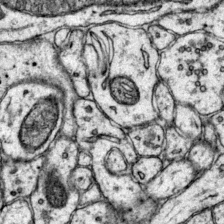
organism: Mouse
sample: Primary visual cortex